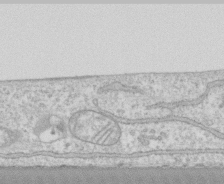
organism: Human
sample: CRL-1474